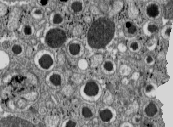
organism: C57BL Mouse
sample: Pancreatic islet